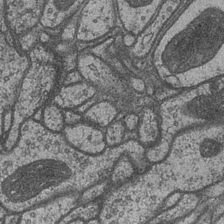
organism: Drosophila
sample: Optic medulla